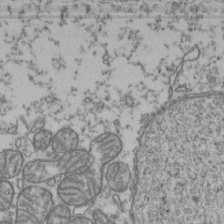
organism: Human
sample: Activated Jurkat CD4+ T cells